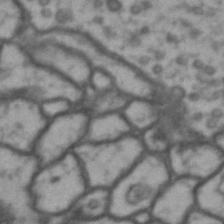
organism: Drosophila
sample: Brain